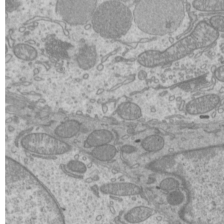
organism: Mouse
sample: Cilia; mouse epididymis